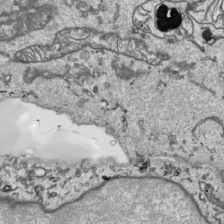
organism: Human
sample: Mitochondria in HCT116 cells